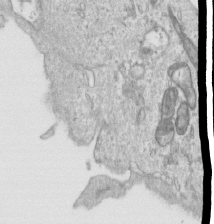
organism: Human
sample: Centriole in RPE cells